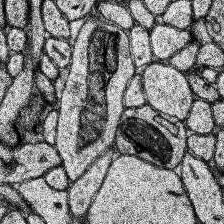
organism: Human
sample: Temporal Lobe